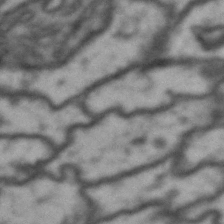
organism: Drosophila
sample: Brain